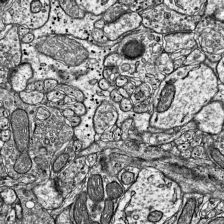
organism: Mouse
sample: Visual Cortex